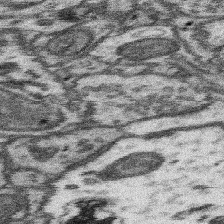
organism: Mouse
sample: Somatosensory cortex neuropil